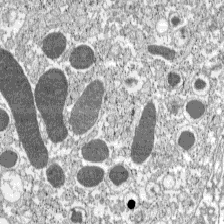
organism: C57BL Mouse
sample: Pancreatic islet